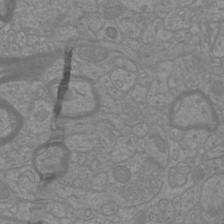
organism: Mouse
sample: Cortical neurons